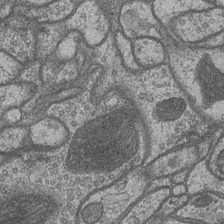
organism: Drosophila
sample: Optic medulla